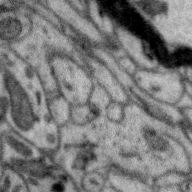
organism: Zebra finch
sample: Brain